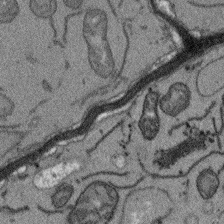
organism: Arabidopsis thaliana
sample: Root tip